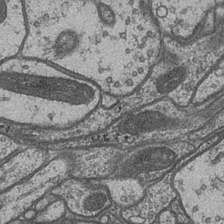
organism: Drosophila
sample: Optic medulla